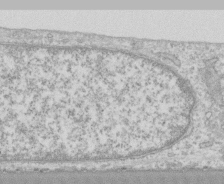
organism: Human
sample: CRL-1474